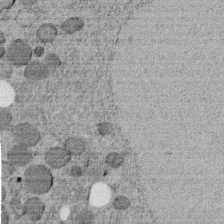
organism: C. elegans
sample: C. elegans embryo early stage